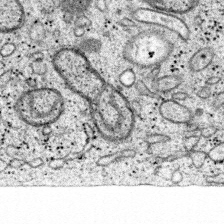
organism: Human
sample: HeLa cells